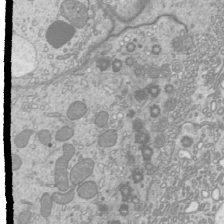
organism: Mouse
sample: Cilia; mouse epididymis